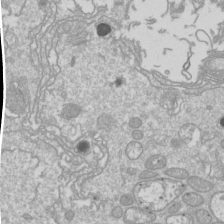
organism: Drosophila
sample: Cell division; meiosis; drosophila spermatocytes